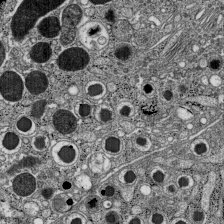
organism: C57BL Mouse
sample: Pancreatic islet